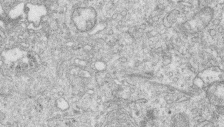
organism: Human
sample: HeLa cell HIV synapse